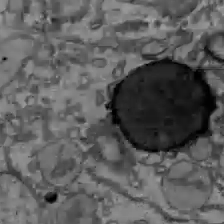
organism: C57BL Mouse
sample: Liver